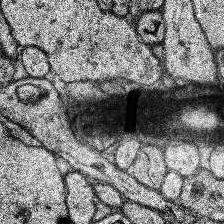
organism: Human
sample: Temporal Lobe